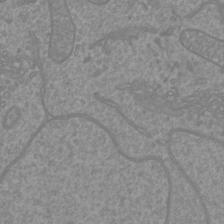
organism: Mouse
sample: Cortical neurons